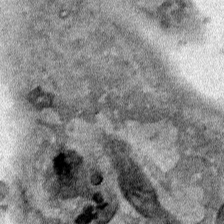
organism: Human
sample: Mitochondria in HCT116 cells